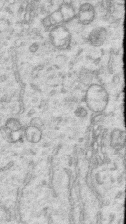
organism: Human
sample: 1205lu cells